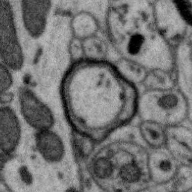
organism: Zebra finch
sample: Brain